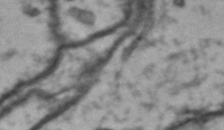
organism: Drosophila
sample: Brain